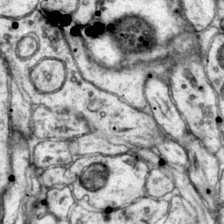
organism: Mouse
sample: Primary visual cortex